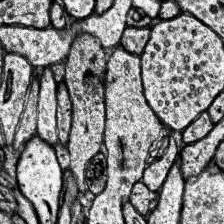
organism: Human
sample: Temporal Lobe